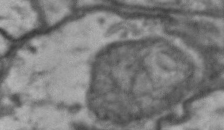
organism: Drosophila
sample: Brain